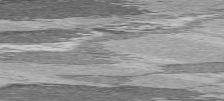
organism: C57BL Mouse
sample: Heart